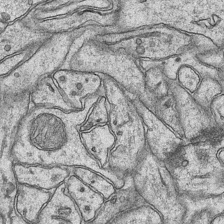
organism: Mouse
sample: CA1 Hippocampus